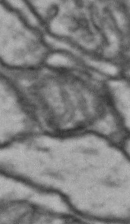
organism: Drosophila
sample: Brain